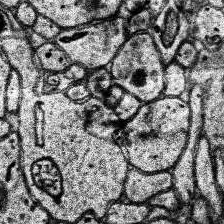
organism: Human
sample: Temporal Lobe